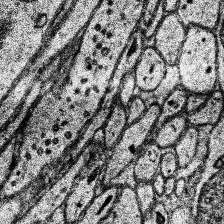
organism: Human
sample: Temporal Lobe